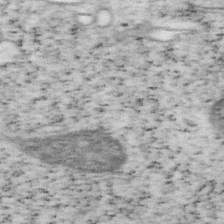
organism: Mouse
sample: OT-I killer T cells with ID8 ovarian cancer cells